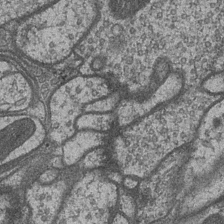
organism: Drosophila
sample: Optic medulla